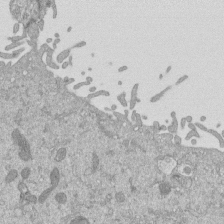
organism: Mouse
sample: ED-1 cell nuclei; centrioles